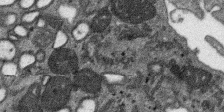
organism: Human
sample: Lung epithelial cells infected with SARS-CoV-2